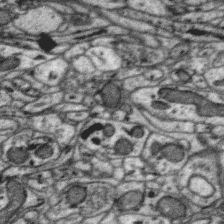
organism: Zebra finch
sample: Brain